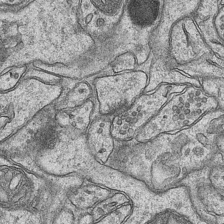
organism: Mouse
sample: CA1 Hippocampus